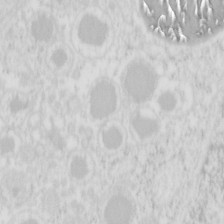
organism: Mouse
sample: Pancreas